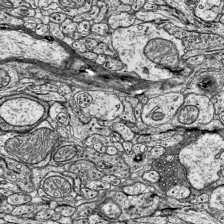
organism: Mouse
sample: Visual Cortex